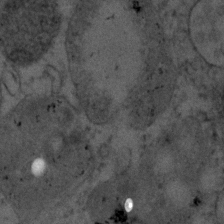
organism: Human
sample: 1205lu cells